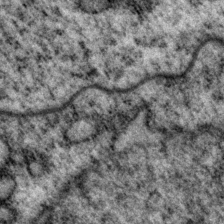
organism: P. pacificus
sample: Pharynx